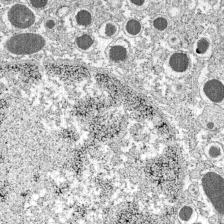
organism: C57BL Mouse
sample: Pancreatic islet